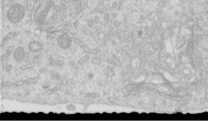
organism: Human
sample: Centriole in RPE cells